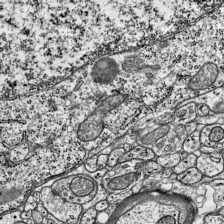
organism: Mouse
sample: Visual Cortex